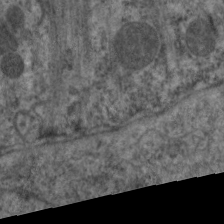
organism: C. elegans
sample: Pharynx